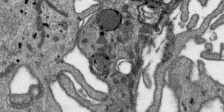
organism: Human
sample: Lung epithelial cells, uninfected (mock) control